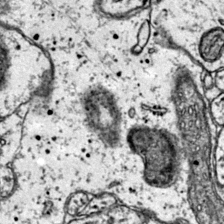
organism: Mouse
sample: Primary visual cortex